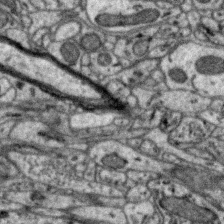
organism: Zebra finch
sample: Brain